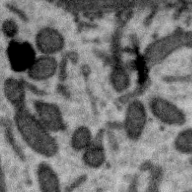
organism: Zebra finch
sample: Brain